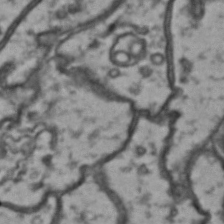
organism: Drosophila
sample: Brain